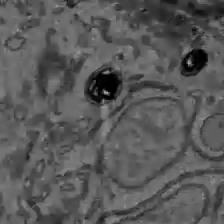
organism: C57BL Mouse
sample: Liver